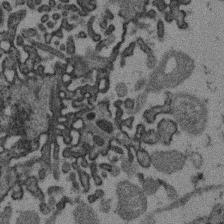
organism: Mouse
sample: Dividing mouse embryo 1 cell stage